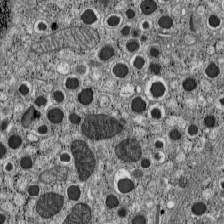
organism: C57BL Mouse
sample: Pancreatic islet